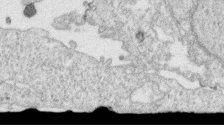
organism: Human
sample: HeLa cell HIV synapse